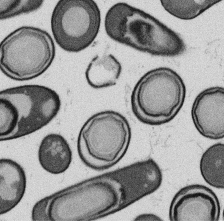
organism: B. subtilis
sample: Bacterial spore